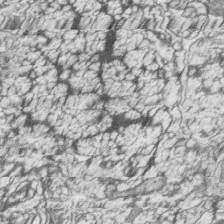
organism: Zebrafish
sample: synaptic ribbons in rod cells and cone cells